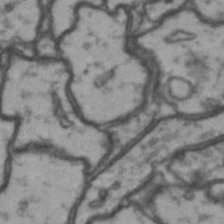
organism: Drosophila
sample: Brain